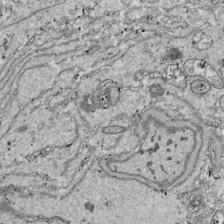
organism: Drosophila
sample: Cell division; meiosis; drosophila spermatocytes